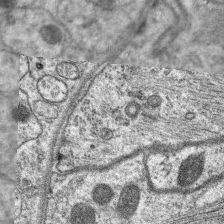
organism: C. elegans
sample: Pharynx